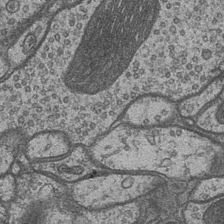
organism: Drosophila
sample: Optic medulla